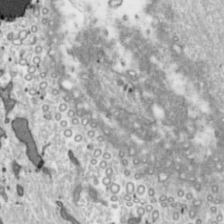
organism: Toxoplasma gondii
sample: Parasites in a vacuole inside a host cell